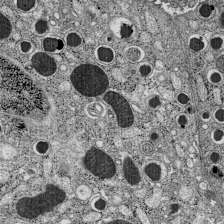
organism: C57BL Mouse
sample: Pancreatic islet